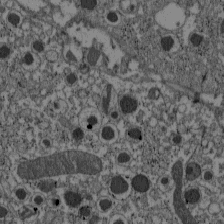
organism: C57BL Mouse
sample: Pancreatic islet